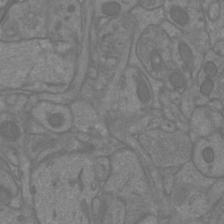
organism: Mouse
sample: Cortical neurons